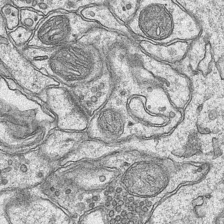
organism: Mouse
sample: CA1 Hippocampus